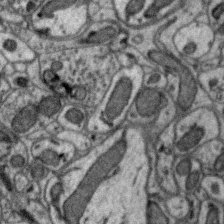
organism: Zebra finch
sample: Brain